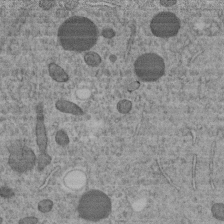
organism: C. elegans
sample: C. elegans embryo early stage